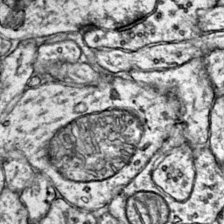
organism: Mouse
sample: Primary visual cortex